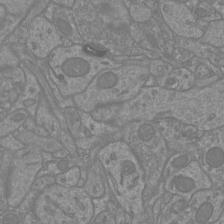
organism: Mouse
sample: Cortical neurons